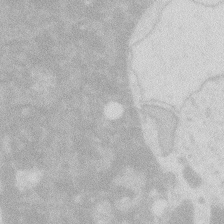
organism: Zebrafish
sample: Macrophage